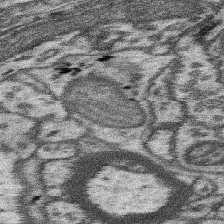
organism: Mouse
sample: Somatosensory cortex neuropil